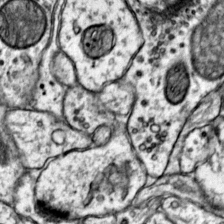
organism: Mouse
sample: Primary visual cortex